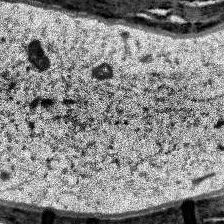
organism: Human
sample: Temporal Lobe